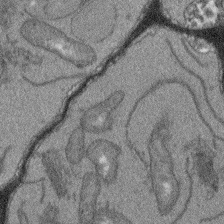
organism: Arabidopsis thaliana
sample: Root tip